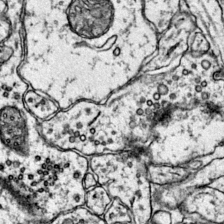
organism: Mouse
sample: Primary visual cortex